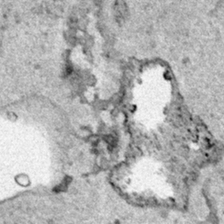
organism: Human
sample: Mitochondria in HCT116 cells